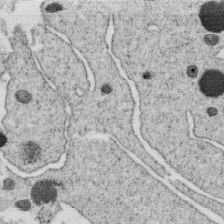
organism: C. elegans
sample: C. elegans oocyte; sperm cells